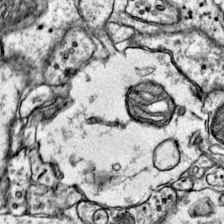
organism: Mouse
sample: Primary visual cortex